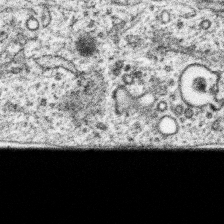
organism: Human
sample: HeLa cells